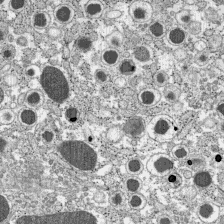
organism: C57BL Mouse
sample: Pancreatic islet